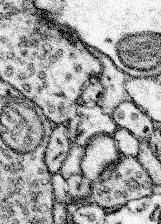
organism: Mouse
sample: Somatosensory cortex neuropil